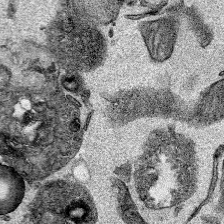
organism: Mouse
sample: Cancer cell death in ED-1 cells